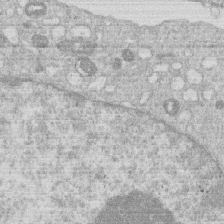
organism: Human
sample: Macrophage cells